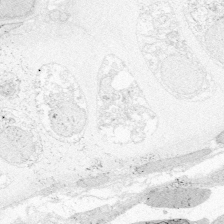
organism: Zebrafish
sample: Whole-Brain